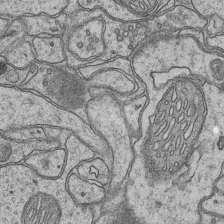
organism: Mouse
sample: CA1 Hippocampus